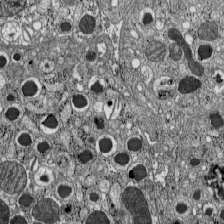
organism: C57BL Mouse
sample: Pancreatic islet